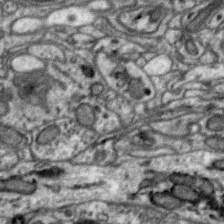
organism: Zebra finch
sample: Brain